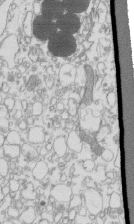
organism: Mouse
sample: Macrophages